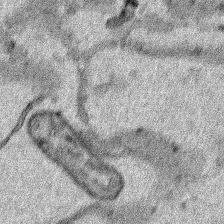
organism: Human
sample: Mitochondria in HCT116 cells